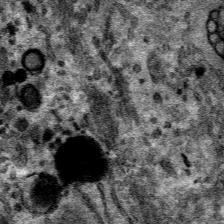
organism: Mouse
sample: Mouse hepatocytes